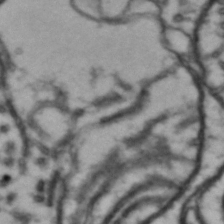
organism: Drosophila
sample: Brain